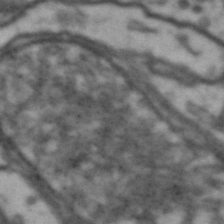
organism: Drosophila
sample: Brain